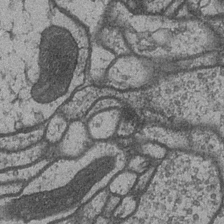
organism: Drosophila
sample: Optic medulla